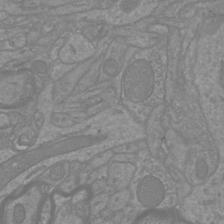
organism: Mouse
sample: Cortical neurons